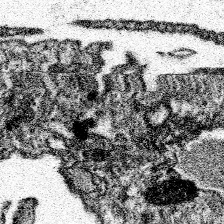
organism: Spongilla lacustris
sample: Neuroid cell